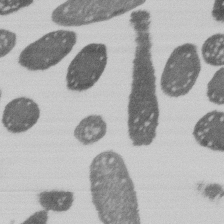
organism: E. coli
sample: Bacterial nucleoid